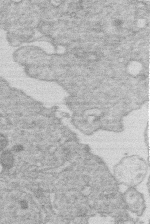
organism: Human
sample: Macrophage cells